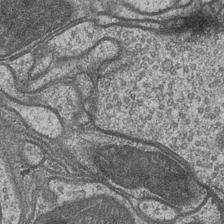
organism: Drosophila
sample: Optic medulla